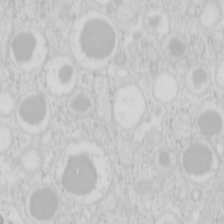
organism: Mouse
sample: Pancreas